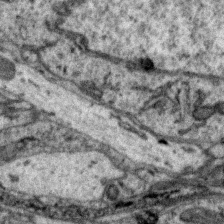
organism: Zebra finch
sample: Brain